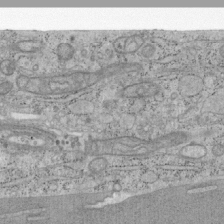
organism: Human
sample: HeLa cells